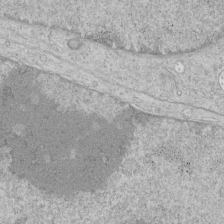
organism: Human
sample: Mitochondria in HCT116 cells